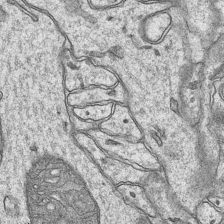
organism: Mouse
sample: CA1 Hippocampus